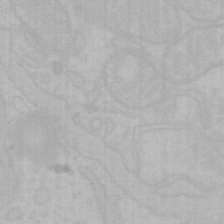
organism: Mouse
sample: Choroid plexus